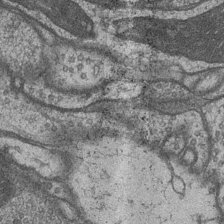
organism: Drosophila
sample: Optic medulla